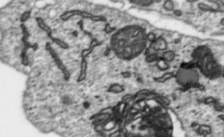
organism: Toxoplasma gondii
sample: Parasites in a vacuole inside a host cell